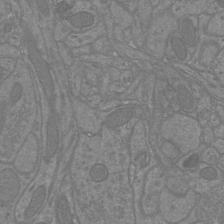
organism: Mouse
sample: Cortical neurons